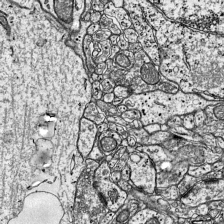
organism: Mouse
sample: Visual Cortex